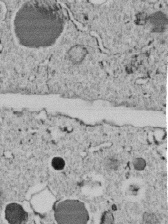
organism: C. elegans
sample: C. elegans embryo early stage